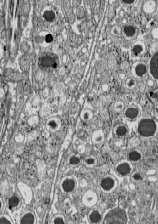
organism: C57BL Mouse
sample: Pancreatic islet